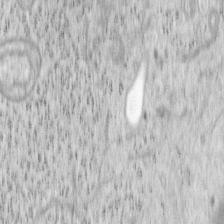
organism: Human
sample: HeLa cells